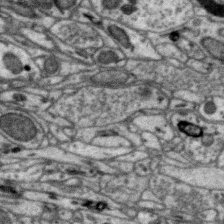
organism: Zebra finch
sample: Brain